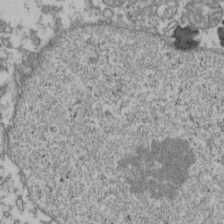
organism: Human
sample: Activated Jurkat CD4+ T cells